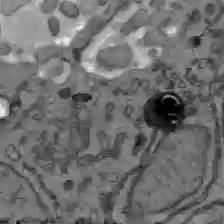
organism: C57BL Mouse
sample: Liver